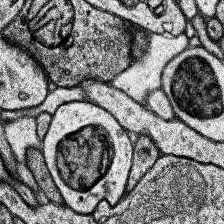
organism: Human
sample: Temporal Lobe